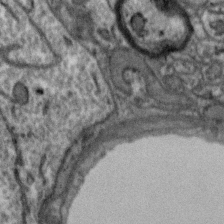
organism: Zebra finch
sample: Brain